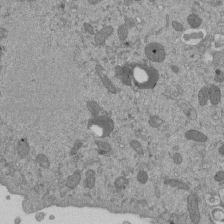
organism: Mouse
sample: ED-1 cell nuclei; centrioles